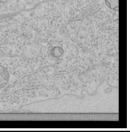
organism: Human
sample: Mitochondria in HCT116 cells